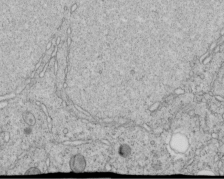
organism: C. elegans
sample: C. elegans embryo early stage